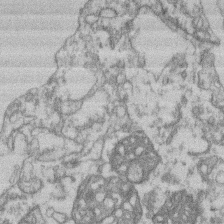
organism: Mouse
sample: T cell stromal cell synapse